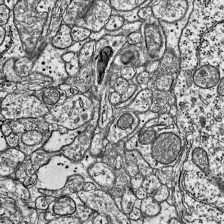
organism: Mouse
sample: Visual Cortex